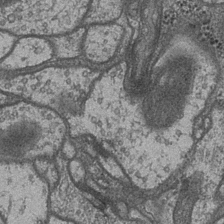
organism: Drosophila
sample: Optic medulla